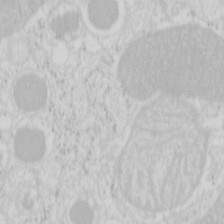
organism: Mouse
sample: Pancreas